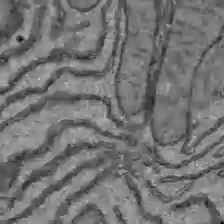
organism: C57BL Mouse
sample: Liver